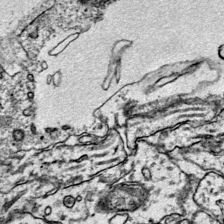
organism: Mouse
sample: Primary visual cortex